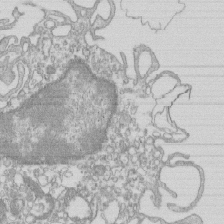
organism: Mouse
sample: Macrophages